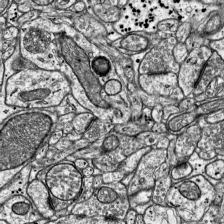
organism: Mouse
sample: Visual Cortex